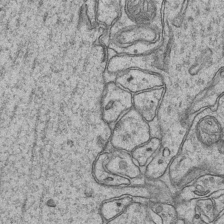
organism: Mouse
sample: CA1 Hippocampus